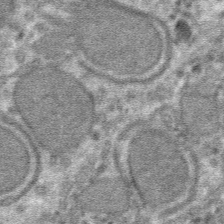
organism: Mouse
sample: Mouse hepatocytes